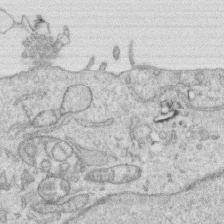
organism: Human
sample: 1205lu cells